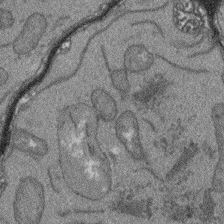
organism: Arabidopsis thaliana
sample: Root tip